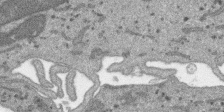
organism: Human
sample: Lung epithelial cells infected with SARS-CoV-2